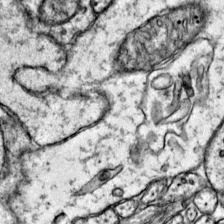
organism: Mouse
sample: Primary visual cortex